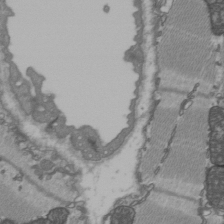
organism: C57BL Mouse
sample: Heart